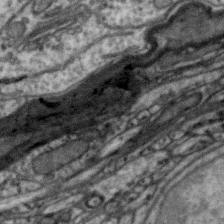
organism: Zebra finch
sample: Brain